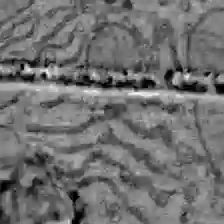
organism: C57BL Mouse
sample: Liver